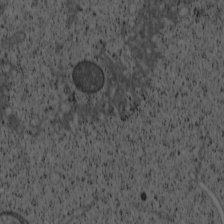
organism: African green monkey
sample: COS-7 cells